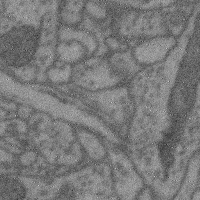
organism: Mouse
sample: Cerebral cortex